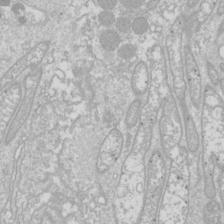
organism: Drosophila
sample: Cell division; meiosis; drosophila spermatocytes